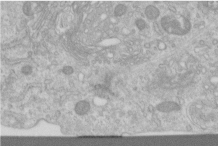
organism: Human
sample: Centriole in RPE cells